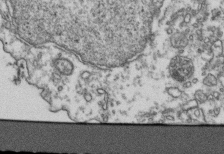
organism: Human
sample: Activated Jurkat CD4+ T cells